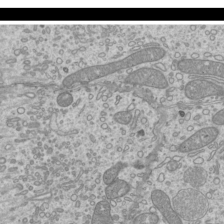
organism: Mouse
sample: Cilia; mouse epididymis